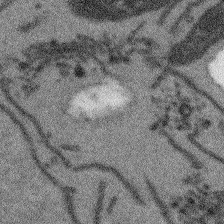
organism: Arabidopsis thaliana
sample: Root tip